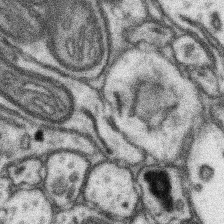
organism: Mouse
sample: Somatosensory cortex neuropil